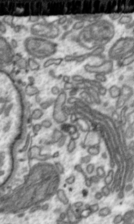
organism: Toxoplasma gondii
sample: Parasites in a vacuole inside a host cell